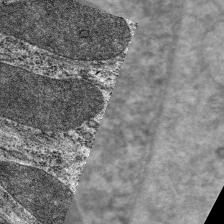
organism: C. elegans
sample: Pharynx